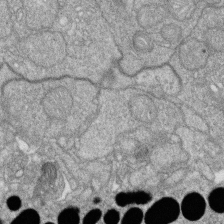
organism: Zebrafish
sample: Cilia; retinal pigment epithelium